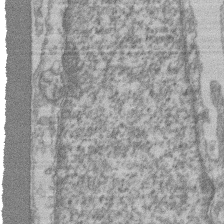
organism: Mouse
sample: T cell stromal cell synapse